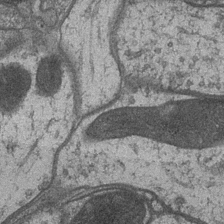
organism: Drosophila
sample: Optic medulla